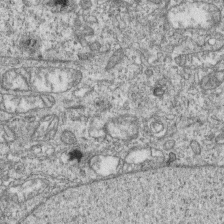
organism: Human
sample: HeLa cell HIV synapse